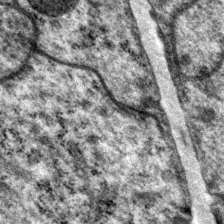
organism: P. pacificus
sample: Pharynx